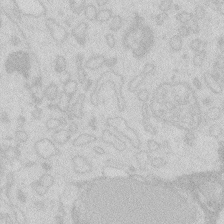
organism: Zebrafish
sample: Macrophage